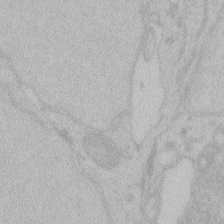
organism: Zebrafish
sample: Macrophage infected with Toxoplasma gondii